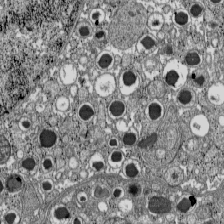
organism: C57BL Mouse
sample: Pancreatic islet